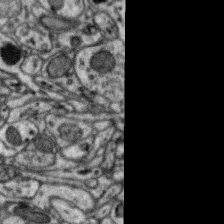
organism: Zebra finch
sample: Brain